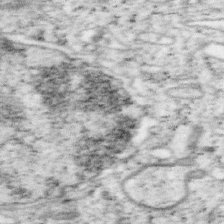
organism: Mouse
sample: OT-I killer T cells with ID8 ovarian cancer cells